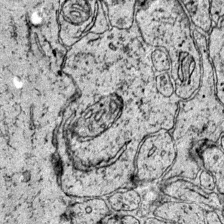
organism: Mouse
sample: Primary visual cortex